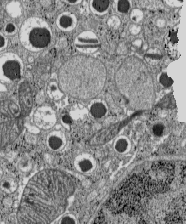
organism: C57BL Mouse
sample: Pancreatic islet